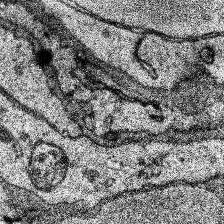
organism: Human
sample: Temporal Lobe